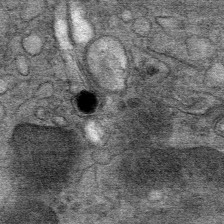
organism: Mouse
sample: Mouse Salivary gland